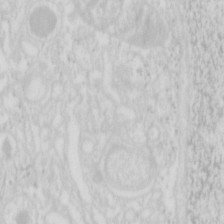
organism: Mouse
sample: Pancreas